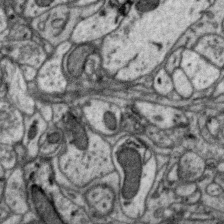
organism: Zebra finch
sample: Brain